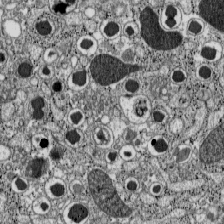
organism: C57BL Mouse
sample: Pancreatic islet